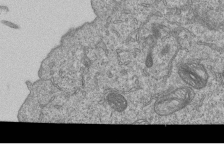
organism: Human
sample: MDA-MB-231 cells